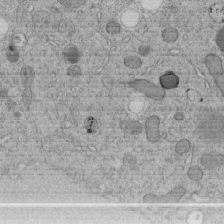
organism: C. elegans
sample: C. elegans embryo early stage